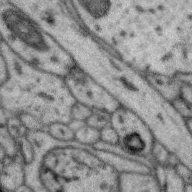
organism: Zebra finch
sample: Brain